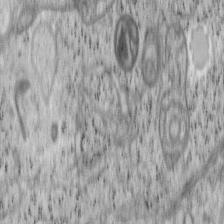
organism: Human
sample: HeLa cells